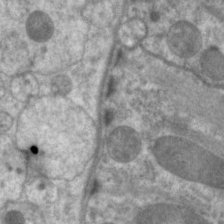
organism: C. elegans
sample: Pharynx